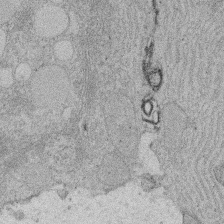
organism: Rat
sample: Salivary granule